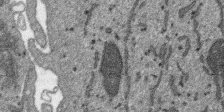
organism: Human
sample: Lung epithelial cells infected with SARS-CoV-2